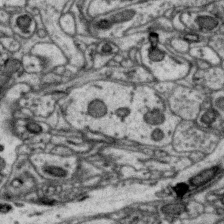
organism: Zebra finch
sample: Brain